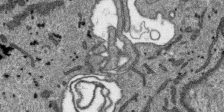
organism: Human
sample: Lung epithelial cells, uninfected (mock) control